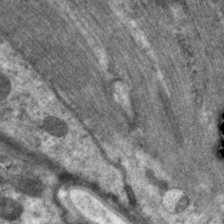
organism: C. elegans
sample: Pharynx